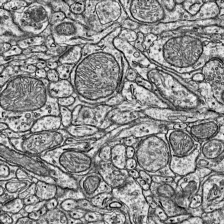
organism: Mouse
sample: Visual Cortex